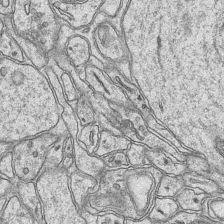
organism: Mouse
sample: CA1 Hippocampus